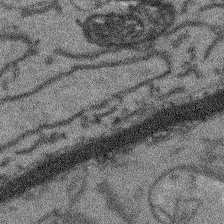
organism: Arabidopsis thaliana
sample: Root tip